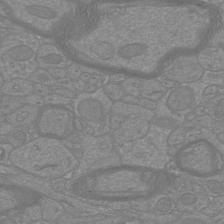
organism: Mouse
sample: Cortical neurons